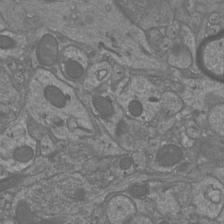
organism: Mouse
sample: Cortical neurons